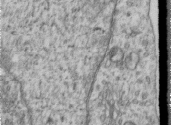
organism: Human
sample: Centriole in RPE cells